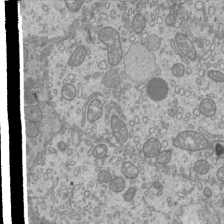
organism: Mouse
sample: Cilia; mouse epididymis